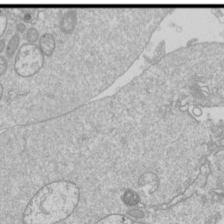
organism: Drosophila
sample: Cell division; meiosis; drosophila spermatocytes